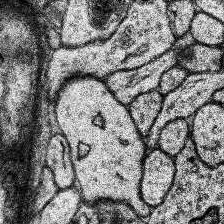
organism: Human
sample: Temporal Lobe